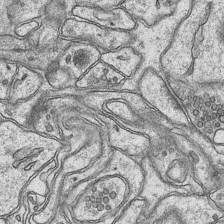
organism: Mouse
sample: CA1 Hippocampus